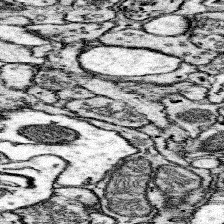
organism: Mouse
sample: Somatosensory cortex neuropil